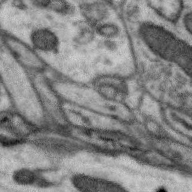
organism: Zebra finch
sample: Brain